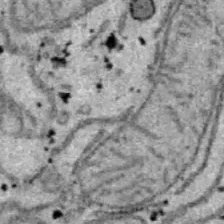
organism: Mouse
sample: Liver from an obese (ob/ob) mouse